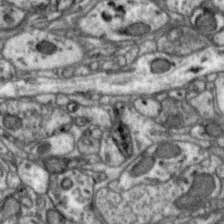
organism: Zebra finch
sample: Brain